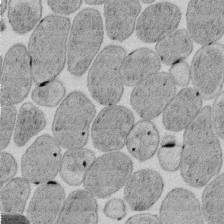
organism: E. coli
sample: Bacterial nucleoid